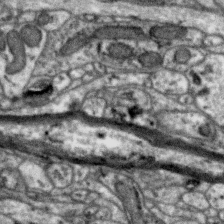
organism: Zebra finch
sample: Brain